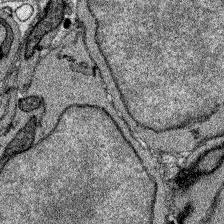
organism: Zebrafish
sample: Larval olfactory bulb